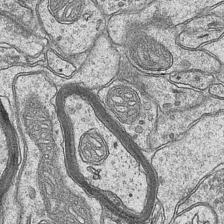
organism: Mouse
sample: CA1 Hippocampus